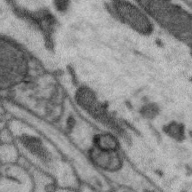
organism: Zebra finch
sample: Brain